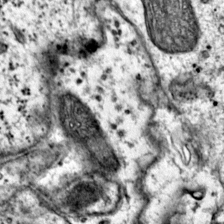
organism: Mouse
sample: Primary visual cortex